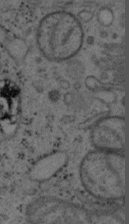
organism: Human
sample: HeLa cells